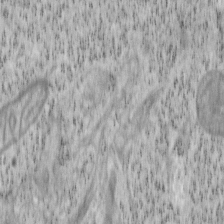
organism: Human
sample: HeLa cells